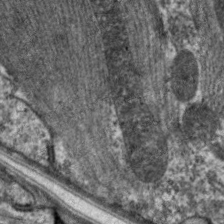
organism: C. elegans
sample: Pharynx